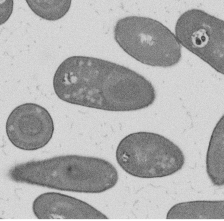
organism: B. subtilis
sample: Bacterial spore